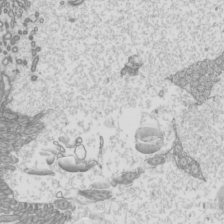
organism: Mouse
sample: Cilia; mouse epididymis